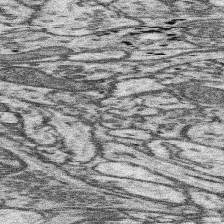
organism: Mouse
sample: Somatosensory cortex neuropil